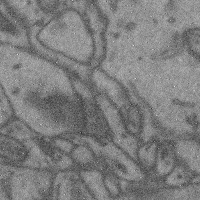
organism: Mouse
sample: Cerebral cortex